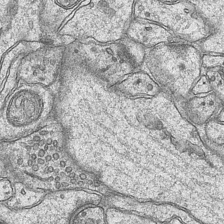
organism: Mouse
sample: CA1 Hippocampus